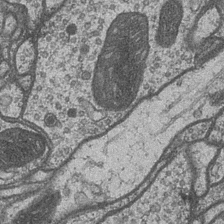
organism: Drosophila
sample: Optic medulla